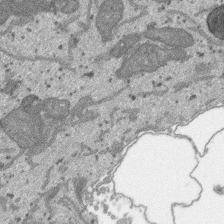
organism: Human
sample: Lung epithelial cells infected with SARS-CoV-2